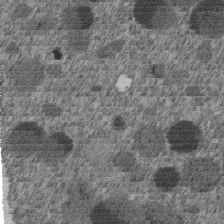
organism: C. elegans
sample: C. elegans embryo early stage